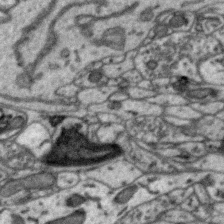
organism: Zebra finch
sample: Brain